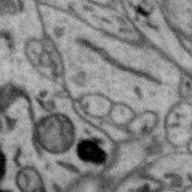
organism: Zebra finch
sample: Brain